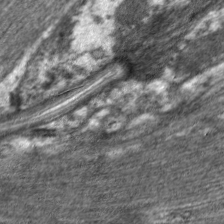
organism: C. elegans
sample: Pharynx